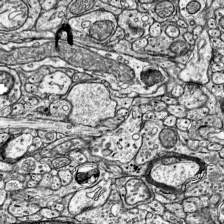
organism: Mouse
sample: Visual Cortex